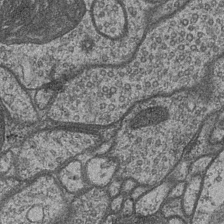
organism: Drosophila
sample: Optic medulla